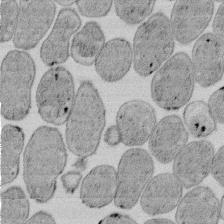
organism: E. coli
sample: Bacterial nucleoid